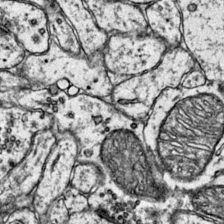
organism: Mouse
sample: Primary visual cortex